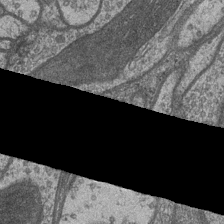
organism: Drosophila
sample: Optic medulla